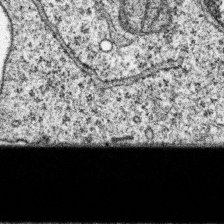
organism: Human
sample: HeLa cells